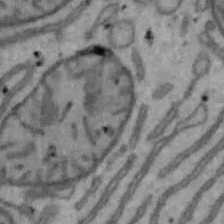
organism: Mouse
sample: Liver